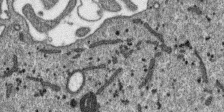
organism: Human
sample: Lung epithelial cells infected with SARS-CoV-2